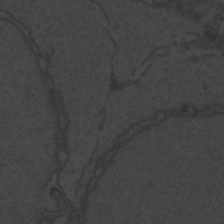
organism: Zebrafish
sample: Macrophage infected with Toxoplasma gondii